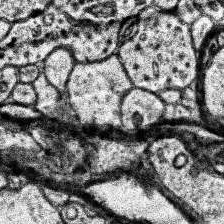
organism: Human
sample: Temporal Lobe